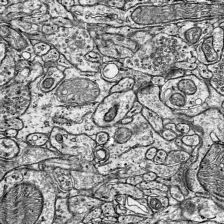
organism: Mouse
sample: Visual Cortex